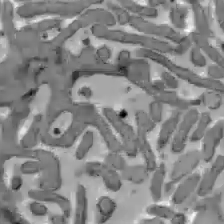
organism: C57BL Mouse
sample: Liver